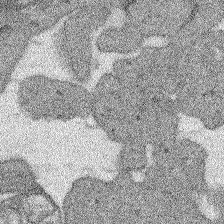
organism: Human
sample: HeLa cells